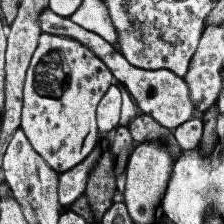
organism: Human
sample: Temporal Lobe